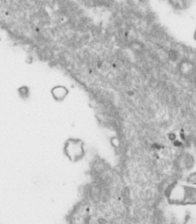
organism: Toxoplasma gondii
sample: Parasites in a vacuole inside a host cell